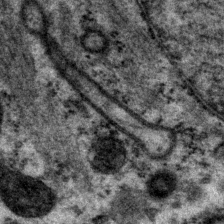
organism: P. pacificus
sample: Pharynx